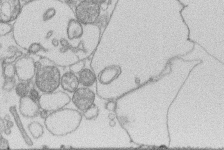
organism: Human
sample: Macrophage cells